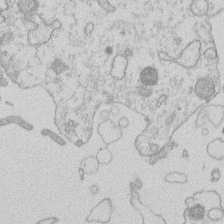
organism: Human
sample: Macrophage cells